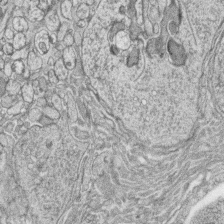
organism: Zebrafish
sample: synaptic ribbons in rod cells and cone cells